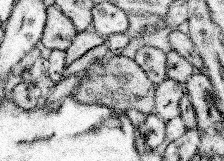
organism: Mouse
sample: Somatosensory cortex neuropil